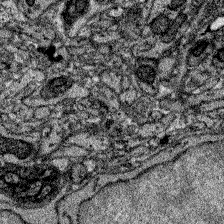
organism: Zebrafish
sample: Larval olfactory bulb